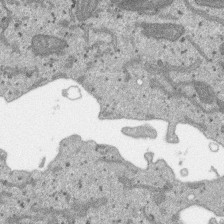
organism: Human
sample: Lung epithelial cells infected with SARS-CoV-2